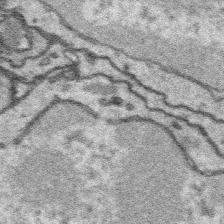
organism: Platynereis dumerilii